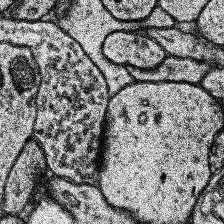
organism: Human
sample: Temporal Lobe